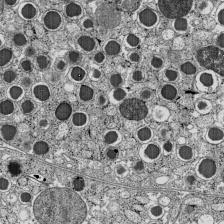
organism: C57BL Mouse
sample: Pancreatic islet